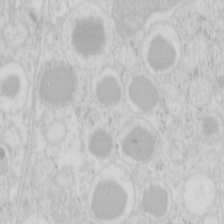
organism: Mouse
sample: Pancreas